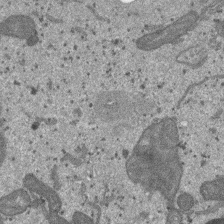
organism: Human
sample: Lung epithelial cells infected with SARS-CoV-2